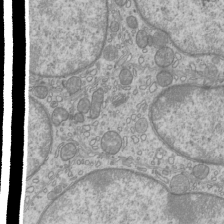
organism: Mouse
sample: Cilia; mouse epididymis